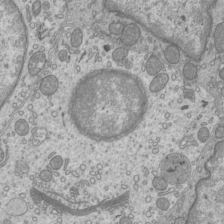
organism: Mouse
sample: Cilia; mouse epididymis